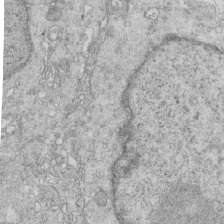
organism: Mouse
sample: Multiciliated cells